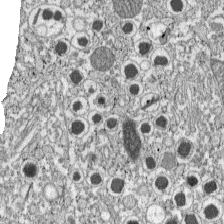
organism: C57BL Mouse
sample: Pancreatic islet